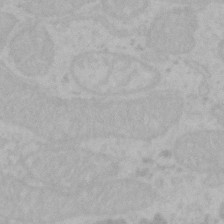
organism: Mouse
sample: Choroid plexus